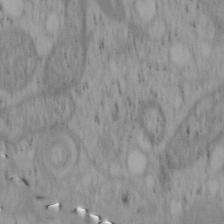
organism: Mouse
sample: OT-I killer T cells with ID8 ovarian cancer cells